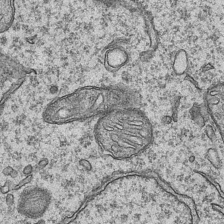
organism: Mouse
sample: CA1 Hippocampus